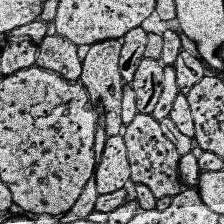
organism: Human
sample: Temporal Lobe